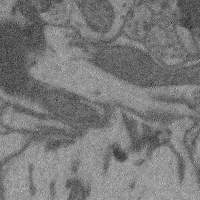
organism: Mouse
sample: Cerebral cortex